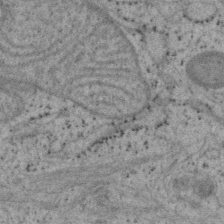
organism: Human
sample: HeLa cells